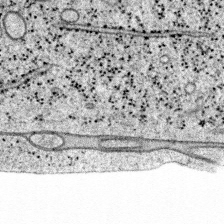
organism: Human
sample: HeLa cells